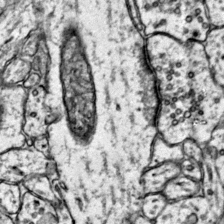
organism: Mouse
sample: Primary visual cortex